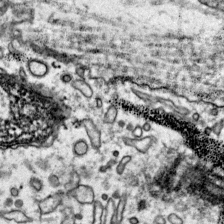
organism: Mouse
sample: Primary visual cortex